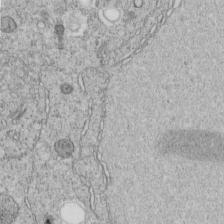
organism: C. elegans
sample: C. elegans embryo early stage